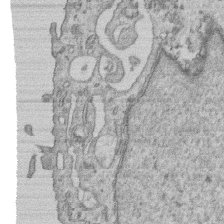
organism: Human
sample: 1205lu cells